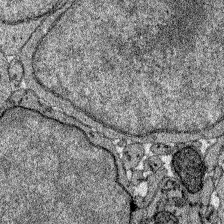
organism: Zebrafish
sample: Larval olfactory bulb